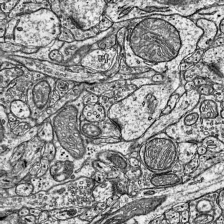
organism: Mouse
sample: Visual Cortex